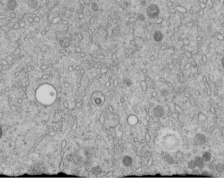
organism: C. elegans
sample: C. elegans embryo early stage